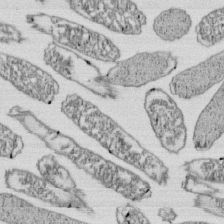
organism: E. coli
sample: Bacterial nucleoid